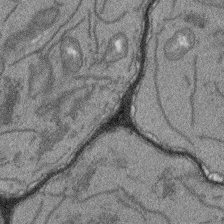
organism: Arabidopsis thaliana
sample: Root tip